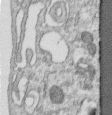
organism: Human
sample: Centriole in RPE cells